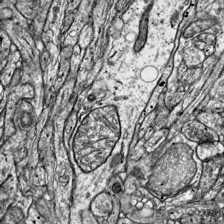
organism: Mouse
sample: Visual Cortex